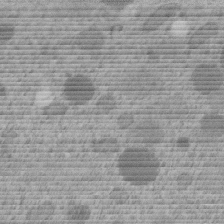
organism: C. elegans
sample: C. elegans embryo early stage